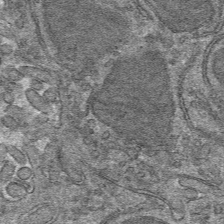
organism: Mouse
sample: Mouse hepatocytes